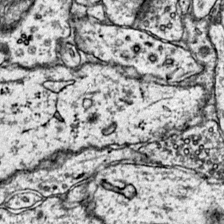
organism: Mouse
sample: Primary visual cortex